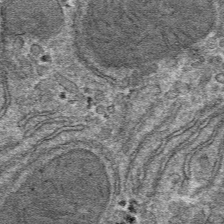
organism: Mouse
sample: Mouse hepatocytes